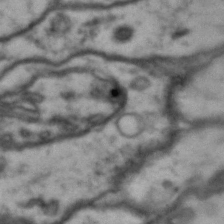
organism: Drosophila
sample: Brain